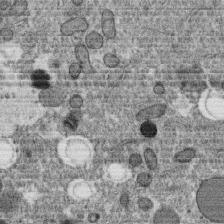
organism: C. elegans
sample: C. elegans oocyte; sperm cells